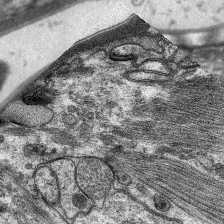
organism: C. elegans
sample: Pharynx